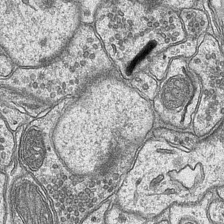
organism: Mouse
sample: CA1 Hippocampus